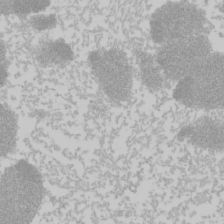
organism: Mouse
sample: Cancer cell death in ED-1 cells